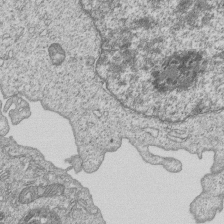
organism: Human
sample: MDA-MB-231 cells